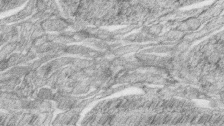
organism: Zebrafish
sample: synaptic ribbons in rod cells and cone cells